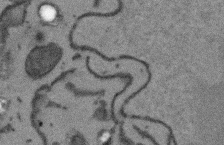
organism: Arabidopsis thaliana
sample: Root tip